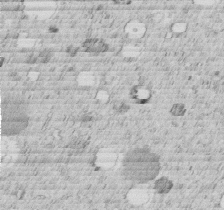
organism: C. elegans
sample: C. elegans embryo early stage